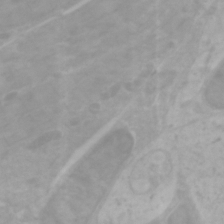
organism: Zebrafish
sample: Zebrafish embryo